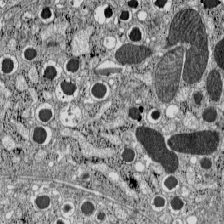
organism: C57BL Mouse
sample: Pancreatic islet